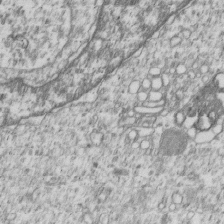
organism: Human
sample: MDA-MB-231 cells